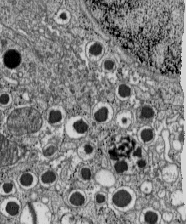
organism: C57BL Mouse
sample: Pancreatic islet